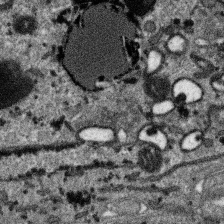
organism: Human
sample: Lung epithelial cells infected with SARS-CoV-2